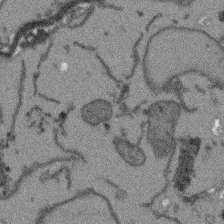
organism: Arabidopsis thaliana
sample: Root tip